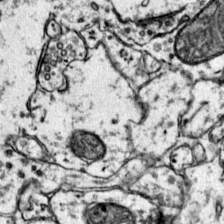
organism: Mouse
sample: Primary visual cortex